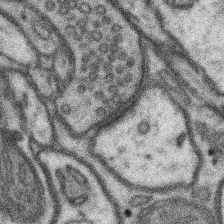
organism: Mouse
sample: Somatosensory cortex neuropil